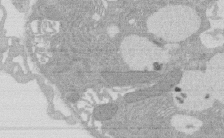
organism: Rat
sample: Salivary granule